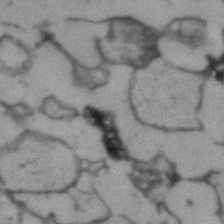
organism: Human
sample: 1205lu cells